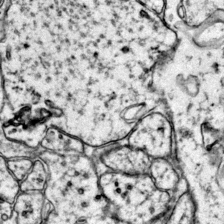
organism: Mouse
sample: Primary visual cortex